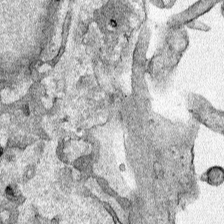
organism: Human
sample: Mitochondria in HCT116 cells